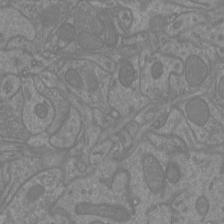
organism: Mouse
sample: Cortical neurons